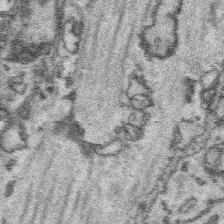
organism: Platynereis dumerilii